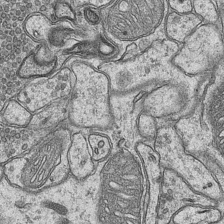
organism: Mouse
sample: CA1 Hippocampus